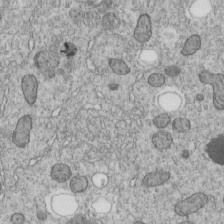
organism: C. elegans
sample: C. elegans embryo early stage